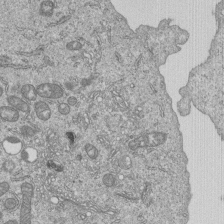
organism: Human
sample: MDA-MB-231 cells